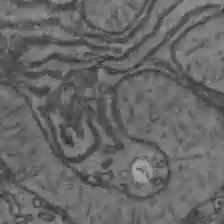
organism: C57BL Mouse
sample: Liver